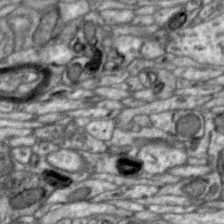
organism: Zebra finch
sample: Brain